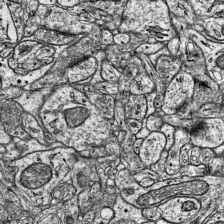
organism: Mouse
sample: Visual Cortex